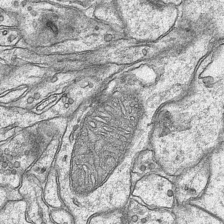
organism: Mouse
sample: CA1 Hippocampus